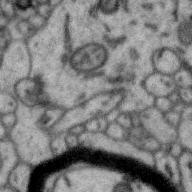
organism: Zebra finch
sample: Brain